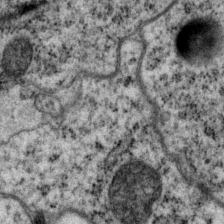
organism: P. pacificus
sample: Pharynx